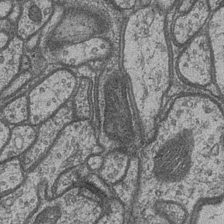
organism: Drosophila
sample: Optic medulla